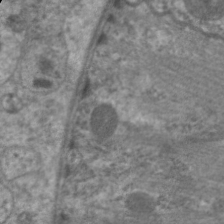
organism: C. elegans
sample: Pharynx